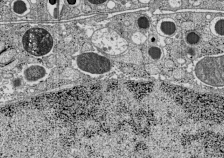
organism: C57BL Mouse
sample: Pancreatic islet